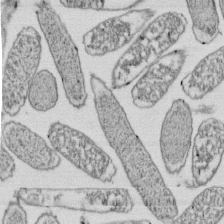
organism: E. coli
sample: Bacterial nucleoid